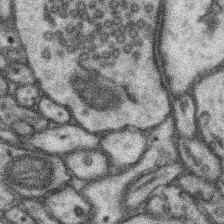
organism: Mouse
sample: Somatosensory cortex neuropil